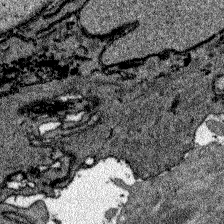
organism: Zebrafish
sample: Larval olfactory bulb